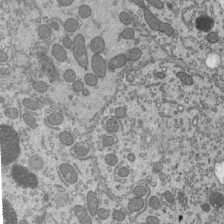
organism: Mouse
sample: Mouse epididymis efferent ductule cilia